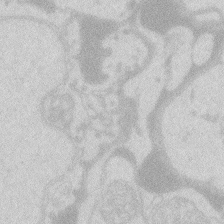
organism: Zebrafish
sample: Macrophage